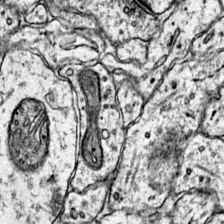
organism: Mouse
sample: Primary visual cortex